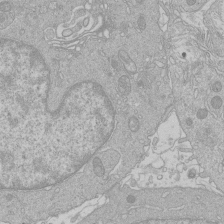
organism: Human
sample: Macrophage cells